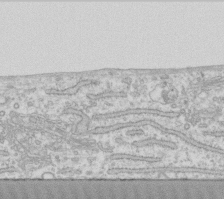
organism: Human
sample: Fibroblast cells